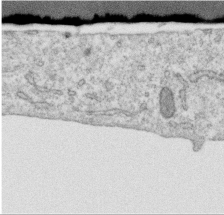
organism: Human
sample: Centriole in RPE cells